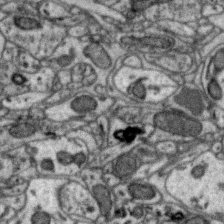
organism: Zebra finch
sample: Brain